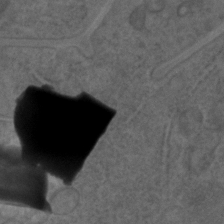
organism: C. elegans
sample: C. elegans embryo